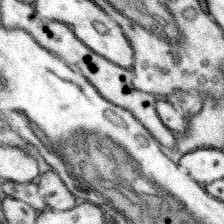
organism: Mouse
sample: Somatosensory cortex neuropil